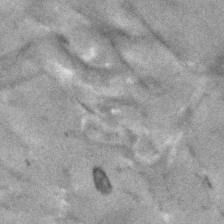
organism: Human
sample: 1205lu cells